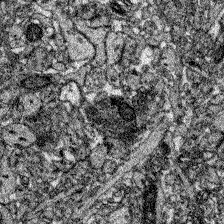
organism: Zebrafish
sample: Larval olfactory bulb